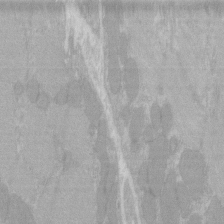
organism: C57BL Mouse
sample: Tibialis anterior muscle cell